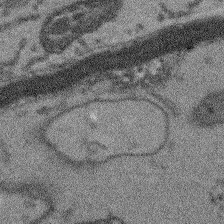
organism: Arabidopsis thaliana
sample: Root tip